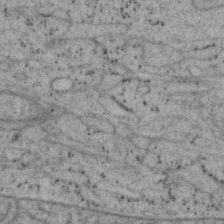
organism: Human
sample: HeLa cells